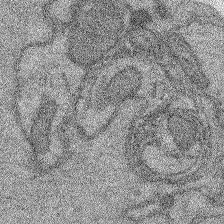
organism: Human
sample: HeLa cells